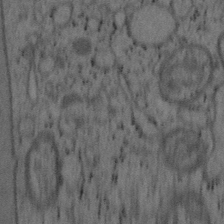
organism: Human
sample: HeLa cells